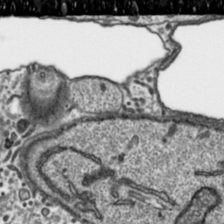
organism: Toxoplasma gondii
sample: Parasites in a vacuole inside a host cell